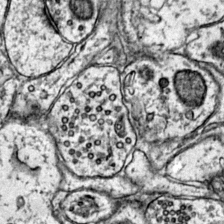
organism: Mouse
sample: Primary visual cortex